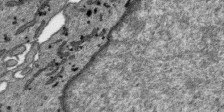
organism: Human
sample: Lung epithelial cells, uninfected (mock) control